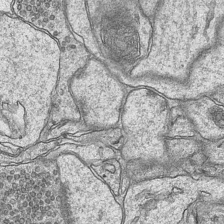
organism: Mouse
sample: CA1 Hippocampus